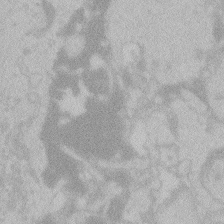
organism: Zebrafish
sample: Macrophage infected with Toxoplasma gondii